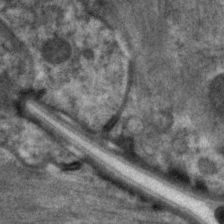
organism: C. elegans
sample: Pharynx